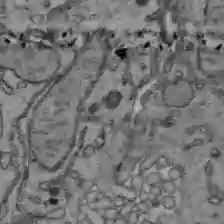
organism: C57BL Mouse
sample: Liver